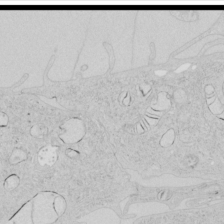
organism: Human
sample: Mitochondria in HCT116 cells